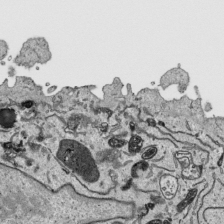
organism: Human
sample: Mitochondria in HCT116 cells